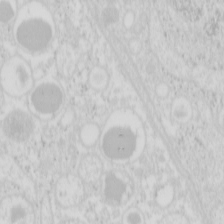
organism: Mouse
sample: Pancreas